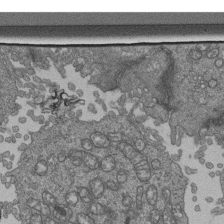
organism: Human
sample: Retinal organoid Rod and Cone cells